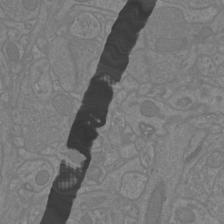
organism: Mouse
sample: Cortical neurons